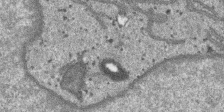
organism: Human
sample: Lung epithelial cells infected with SARS-CoV-2